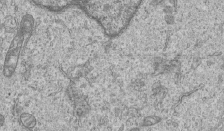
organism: Human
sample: MDA-MB-231 cells